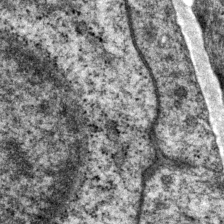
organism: P. pacificus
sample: Pharynx